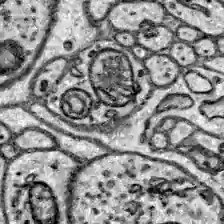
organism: Zebrafish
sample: Brain